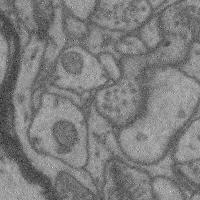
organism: Mouse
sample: Cerebral cortex